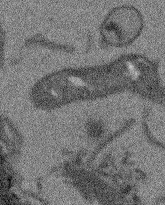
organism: Arabidopsis thaliana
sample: Root tip